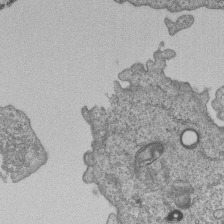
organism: Human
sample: MDA-MB-231 cells